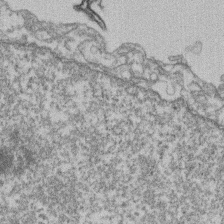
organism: Mouse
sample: T cell stromal cell synapse